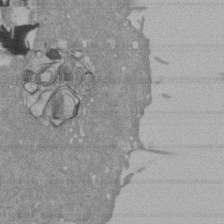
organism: Mouse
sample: ED-1 cell nuclei; centrioles